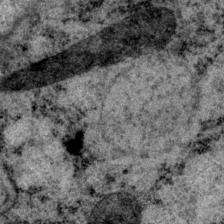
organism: P. pacificus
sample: Pharynx